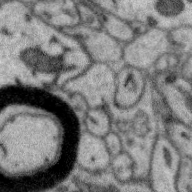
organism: Zebra finch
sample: Brain